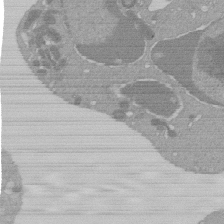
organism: Mouse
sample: Activated Pmel transgenic CD8+ T Cells